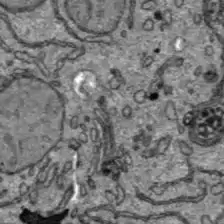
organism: C57BL Mouse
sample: Liver